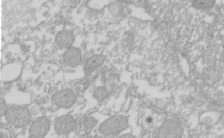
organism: Xenopus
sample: Cilia; centrioles in frog embryo cells